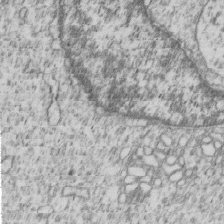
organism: Human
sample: MDA-MB-231 cells